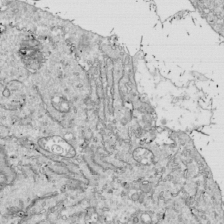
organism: Drosophila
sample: Cell division; meiosis; drosophila spermatocytes